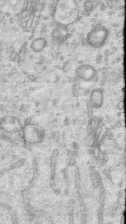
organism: Human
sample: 1205lu cells